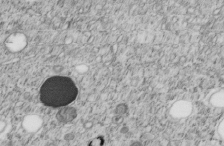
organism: C. elegans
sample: C. elegans embryo early stage